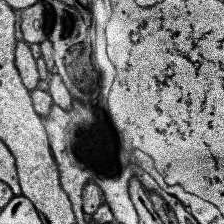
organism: Human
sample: Temporal Lobe